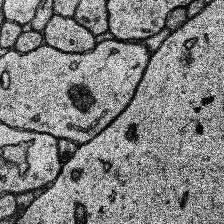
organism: Human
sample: Temporal Lobe